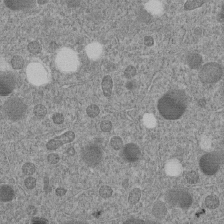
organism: C. elegans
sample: C. elegans embryo early stage